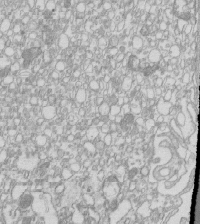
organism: Mouse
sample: Macrophages